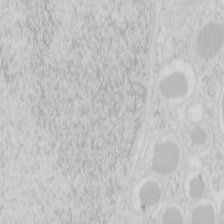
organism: Mouse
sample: Pancreas